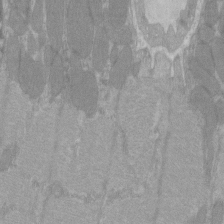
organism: C57BL Mouse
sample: Tibialis anterior muscle cell